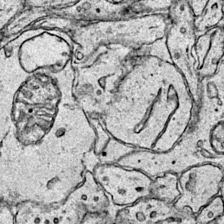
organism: Mouse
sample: Primary visual cortex